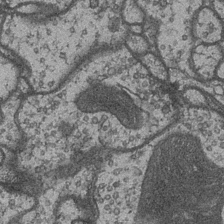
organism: Drosophila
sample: Optic medulla